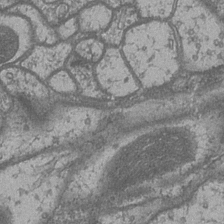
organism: Drosophila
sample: Optic medulla